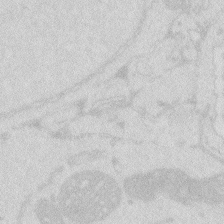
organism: Zebrafish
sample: Macrophage